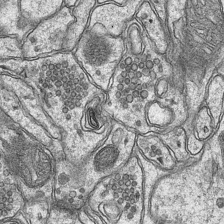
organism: Mouse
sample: CA1 Hippocampus